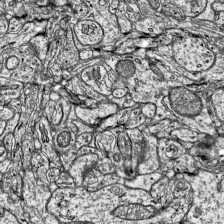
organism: Mouse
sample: Visual Cortex